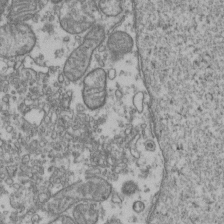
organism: Human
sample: Activated Jurkat CD4+ T cells